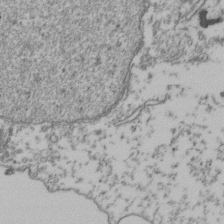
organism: Human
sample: Activated Jurkat CD4+ T cells